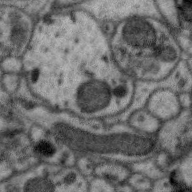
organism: Zebra finch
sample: Brain